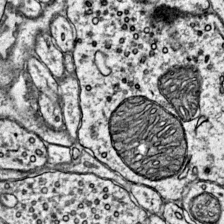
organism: Mouse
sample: Primary visual cortex